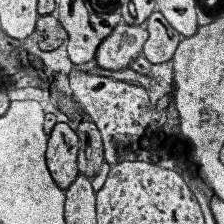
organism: Human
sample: Temporal Lobe